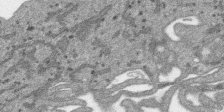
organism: Human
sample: Lung epithelial cells infected with SARS-CoV-2